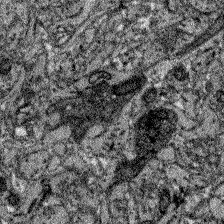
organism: Zebrafish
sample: Larval olfactory bulb